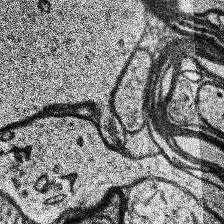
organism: Human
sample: Temporal Lobe